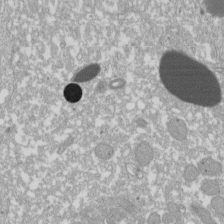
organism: Xenopus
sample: Cilia; centrioles in frog embryo cells